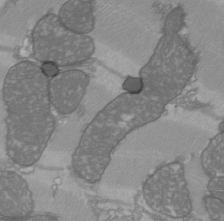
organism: C57BL Mouse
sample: Heart